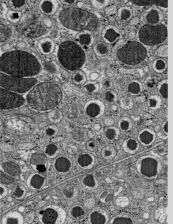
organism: C57BL Mouse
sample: Pancreatic islet